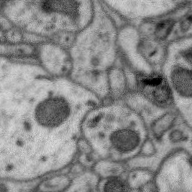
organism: Zebra finch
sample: Brain